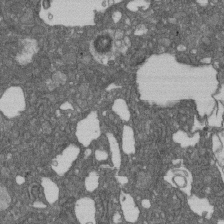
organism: Drosophila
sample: Nephrocyte